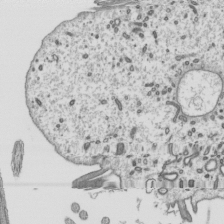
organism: Mouse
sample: Mouse epididymis efferent ductule cilia